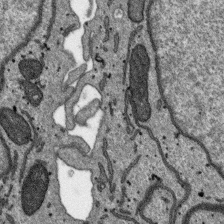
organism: Human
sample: Lung epithelial cells, uninfected (mock) control